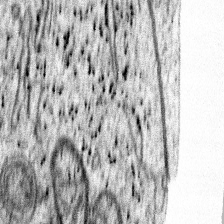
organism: Human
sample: HeLa cells